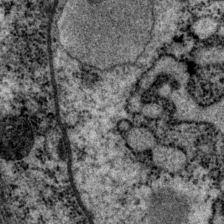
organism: P. pacificus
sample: Pharynx